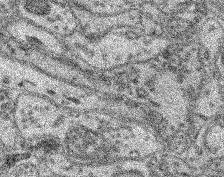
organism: Mouse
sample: Retina